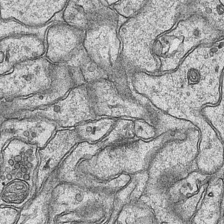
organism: Mouse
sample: CA1 Hippocampus